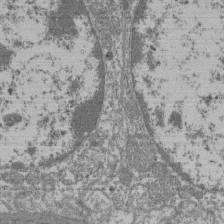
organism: Mouse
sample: Glomerulus